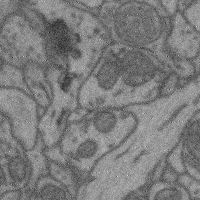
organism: Mouse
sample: Cerebral cortex